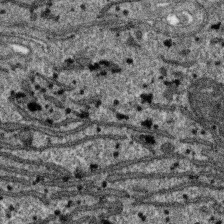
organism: Human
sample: Lung epithelial cells infected with SARS-CoV-2